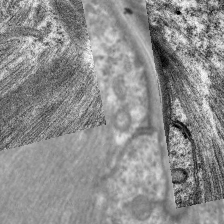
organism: C. elegans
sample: Pharynx